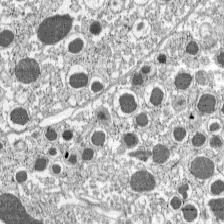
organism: C57BL Mouse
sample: Pancreatic islet